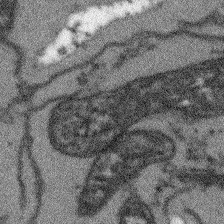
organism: Arabidopsis thaliana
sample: Root tip